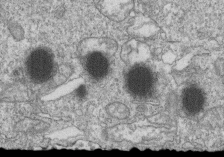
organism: Human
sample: HeLa cell HIV synapse